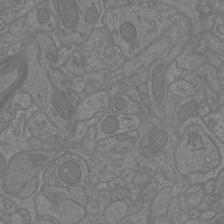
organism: Mouse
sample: Cortical neurons